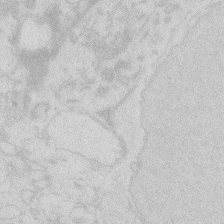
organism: Zebrafish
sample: Macrophage